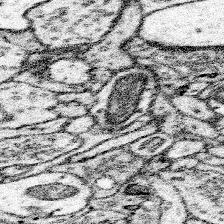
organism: Mouse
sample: Somatosensory cortex neuropil